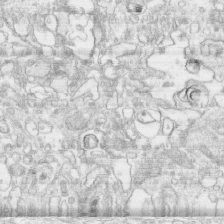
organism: Human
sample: CRL-1474